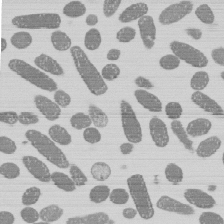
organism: E. coli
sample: Bacterial nucleoid